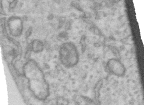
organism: Human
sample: Centriole in RPE cells